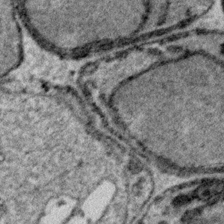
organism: Plasmodium falciparum